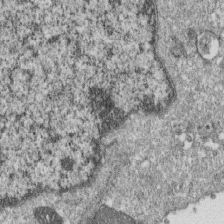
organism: African green monkey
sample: Vero E6 cells infected with SARS-CoV-2